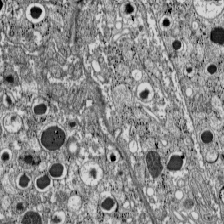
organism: C57BL Mouse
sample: Pancreatic islet